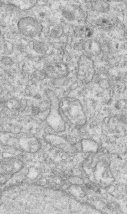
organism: Human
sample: HeLa cell HIV synapse